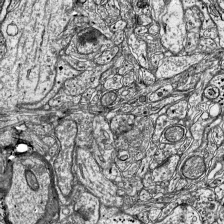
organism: Mouse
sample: Visual Cortex